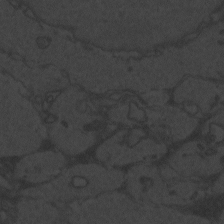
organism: Zebrafish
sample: Macrophage infected with Toxoplasma gondii